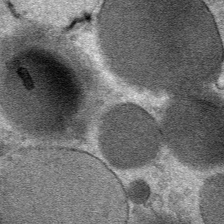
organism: Mouse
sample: Mouse Salivary gland